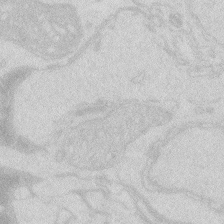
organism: Zebrafish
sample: Macrophage